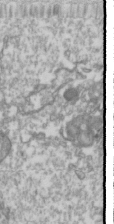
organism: Drosophila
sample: Cell division; meiosis; drosophila spermatocytes